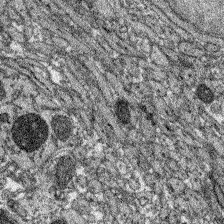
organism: Zebrafish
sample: Larval olfactory bulb